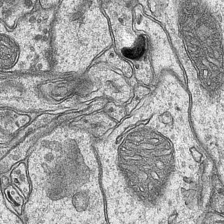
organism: Mouse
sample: CA1 Hippocampus